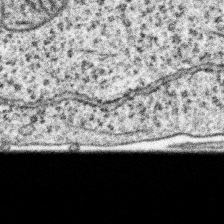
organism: Human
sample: HeLa cells